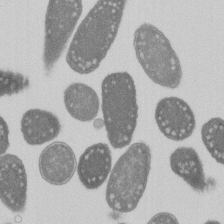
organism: E. coli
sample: Bacterial nucleoid